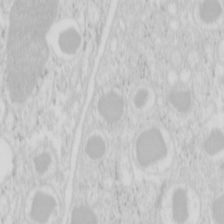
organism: Mouse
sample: Pancreas